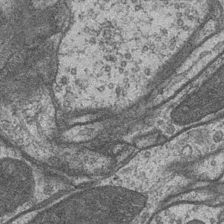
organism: Drosophila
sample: Optic medulla